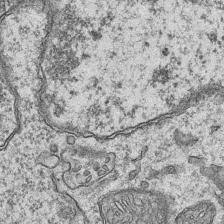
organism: Mouse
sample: CA1 Hippocampus